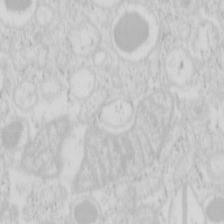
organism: Mouse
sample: Pancreas